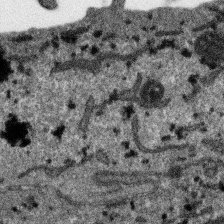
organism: Human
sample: Lung epithelial cells infected with SARS-CoV-2